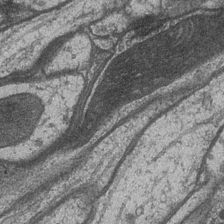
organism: Drosophila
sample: Optic medulla